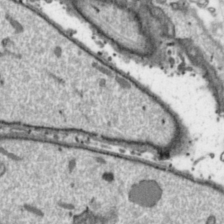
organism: Toxoplasma gondii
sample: Parasites in a vacuole inside a host cell